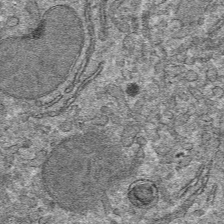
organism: Mouse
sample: Mouse hepatocytes